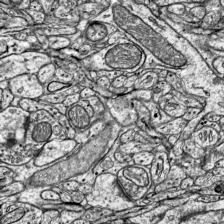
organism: Mouse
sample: Visual Cortex